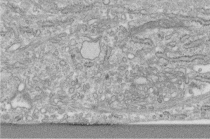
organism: Human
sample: Centriole in fibroblast cells